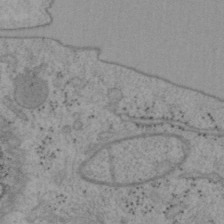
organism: Human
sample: HeLa cells